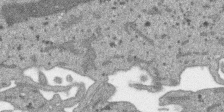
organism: Human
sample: Lung epithelial cells infected with SARS-CoV-2